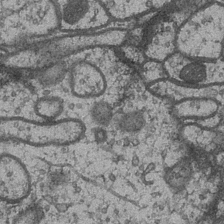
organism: Drosophila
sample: Optic medulla